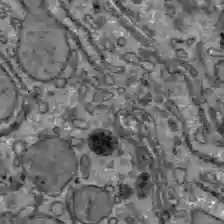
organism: C57BL Mouse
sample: Liver